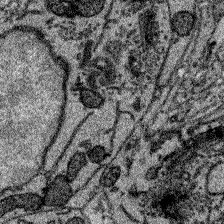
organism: Zebrafish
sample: Larval olfactory bulb